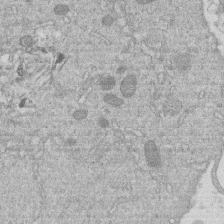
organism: Human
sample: Macrophage cells